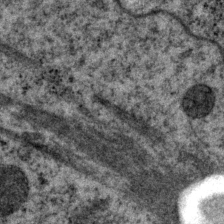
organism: P. pacificus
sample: Pharynx